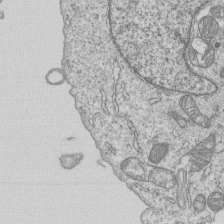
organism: Human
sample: MDA-MB-231 cells